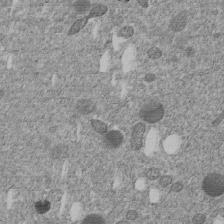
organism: C. elegans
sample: C. elegans embryo early stage